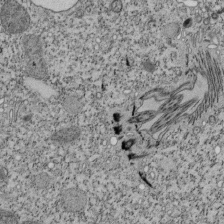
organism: Tetrahymena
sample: Cilia in tetrahymena